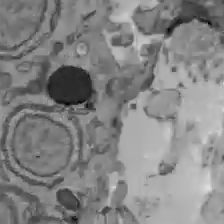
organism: C57BL Mouse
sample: Liver